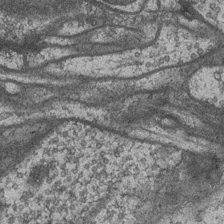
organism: Drosophila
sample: Optic medulla